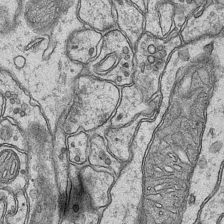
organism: Mouse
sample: CA1 Hippocampus